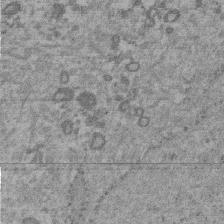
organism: Mouse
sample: Dividing mouse embryo 1 cell stage